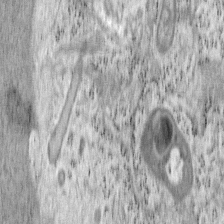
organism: Human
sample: HeLa cells